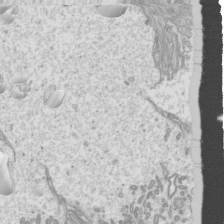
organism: Mouse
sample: Cilia; mouse epididymis